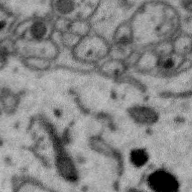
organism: Zebra finch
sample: Brain